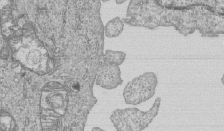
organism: Human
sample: MDA-MB-231 cells